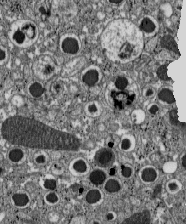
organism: C57BL Mouse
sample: Pancreatic islet